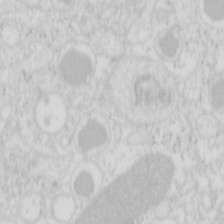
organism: Mouse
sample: Pancreas